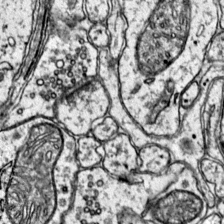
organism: Mouse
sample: Primary visual cortex